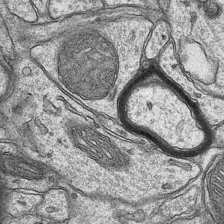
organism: Mouse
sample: CA1 Hippocampus